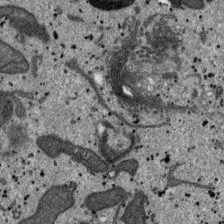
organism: Human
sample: Lung epithelial cells, uninfected (mock) control